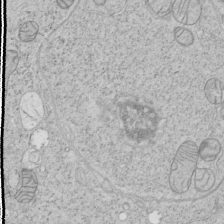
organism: Human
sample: Mitochondria in HCT116 cells